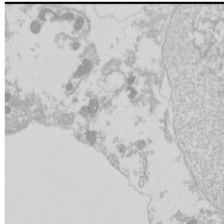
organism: Drosophila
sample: Cell division; meiosis; drosophila spermatocytes